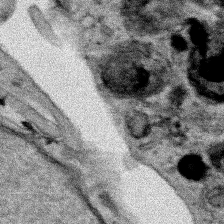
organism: Human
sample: Mitochondria in HCT116 cells